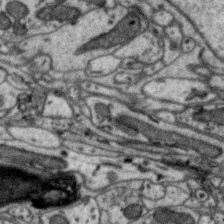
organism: Zebra finch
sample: Brain